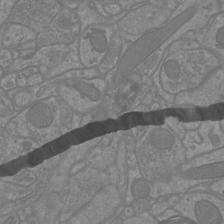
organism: Mouse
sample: Cortical neurons